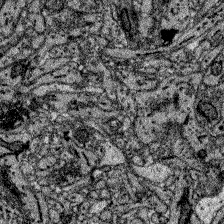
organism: Zebrafish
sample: Larval olfactory bulb